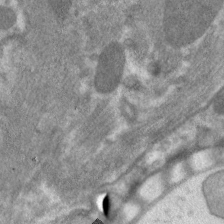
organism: C. elegans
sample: Pharynx